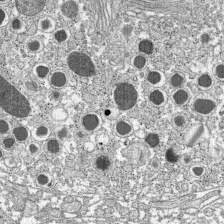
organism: C57BL Mouse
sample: Pancreatic islet